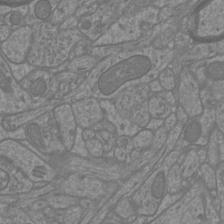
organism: Mouse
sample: Cortical neurons